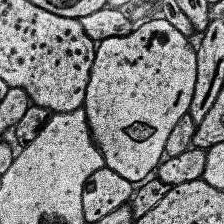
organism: Human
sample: Temporal Lobe